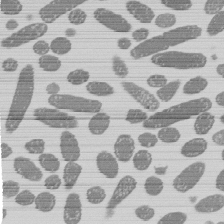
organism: E. coli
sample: Bacterial nucleoid